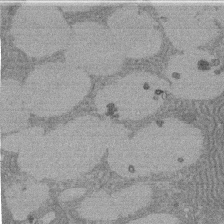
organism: Rat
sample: Salivary granule